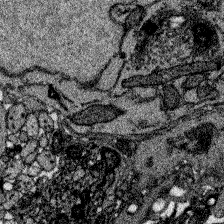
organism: Zebrafish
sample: Larval olfactory bulb